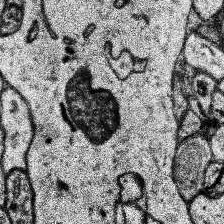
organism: Human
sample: Temporal Lobe